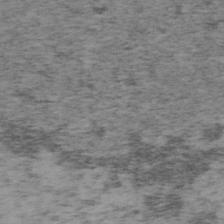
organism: Mouse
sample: OT-I killer T cells with ID8 ovarian cancer cells